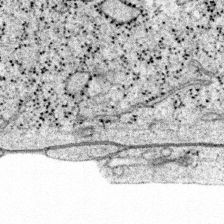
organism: Human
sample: HeLa cells